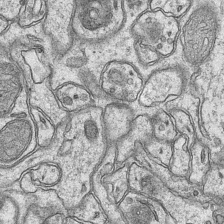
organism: Mouse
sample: CA1 Hippocampus